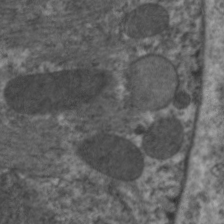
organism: C. elegans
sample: Pharynx